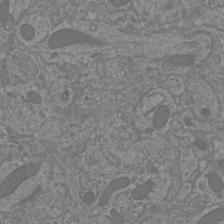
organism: Mouse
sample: Cortical neurons